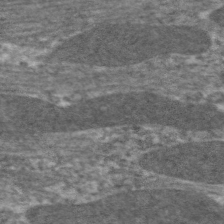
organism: C. elegans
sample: Pharynx